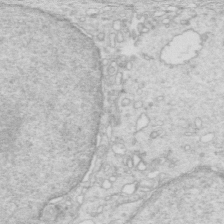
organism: Mouse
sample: Multiciliated cells